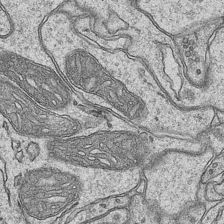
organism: Mouse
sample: CA1 Hippocampus